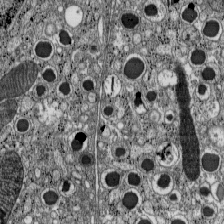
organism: C57BL Mouse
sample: Pancreatic islet